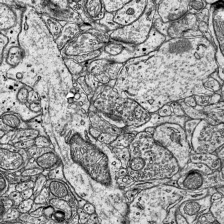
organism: Mouse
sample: Visual Cortex